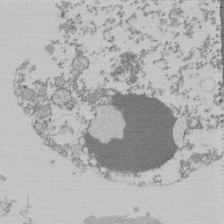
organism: Mouse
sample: Activated Pmel transgenic CD8+ T Cells